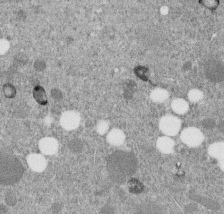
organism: C. elegans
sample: C. elegans embryo early stage